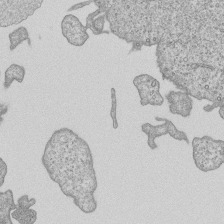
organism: Human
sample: MDA-MB-231 cells